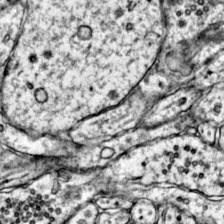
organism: Mouse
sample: Primary visual cortex